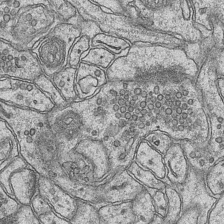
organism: Mouse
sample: CA1 Hippocampus